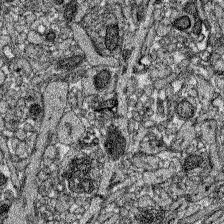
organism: Zebrafish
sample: Larval olfactory bulb